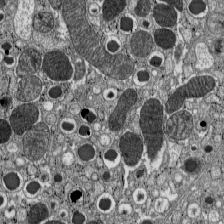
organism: C57BL Mouse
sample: Pancreatic islet